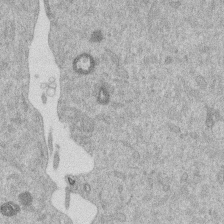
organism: Mouse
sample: Dividing mouse embryo 1 cell stage